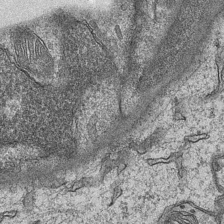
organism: Mouse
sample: CA1 Hippocampus